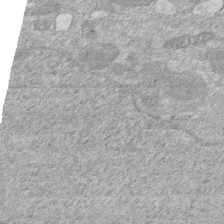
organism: Human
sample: HIV infected U937 cells